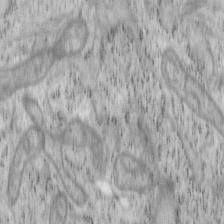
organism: Human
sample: HeLa cells